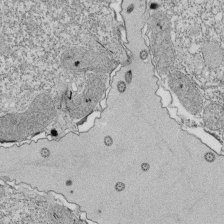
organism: Tetrahymena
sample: Cilia in tetrahymena